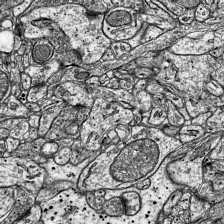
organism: Mouse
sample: Visual Cortex